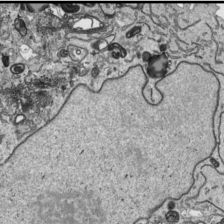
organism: Human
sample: Mitochondria in HCT116 cells